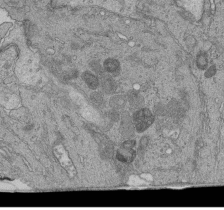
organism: Human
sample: Retinal organoid Rod and Cone cells